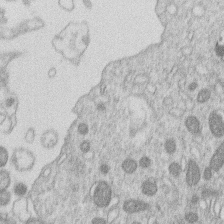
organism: Human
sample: Macrophage cells